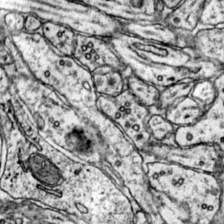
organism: Mouse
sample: Primary visual cortex